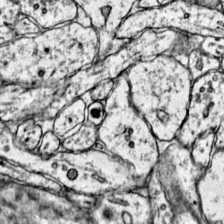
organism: Mouse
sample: Primary visual cortex